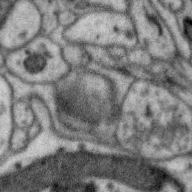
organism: Zebra finch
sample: Brain